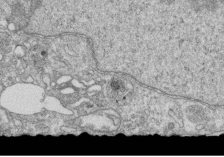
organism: Human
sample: HeLa cell HIV synapse